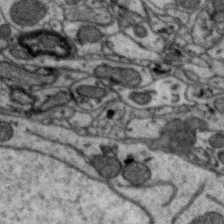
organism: Zebra finch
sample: Brain